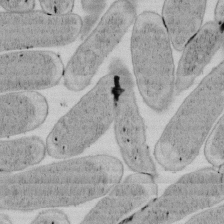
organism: E. coli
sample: Bacterial nucleoid